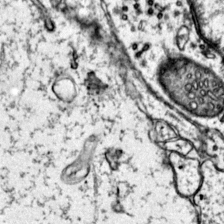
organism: Mouse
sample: Primary visual cortex